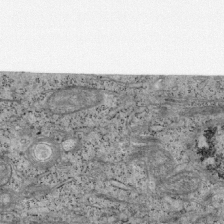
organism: Human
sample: HeLa cells